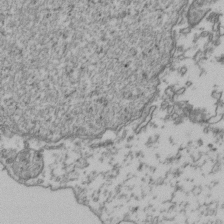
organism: Human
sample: Activated Jurkat CD4+ T cells